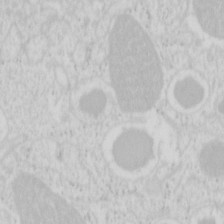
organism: Mouse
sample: Pancreas